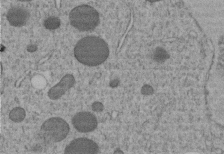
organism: C. elegans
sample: C. elegans embryo early stage